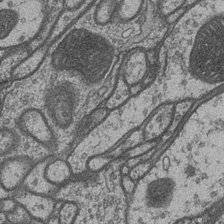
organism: Drosophila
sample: Optic medulla